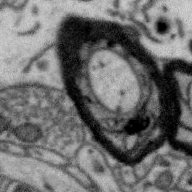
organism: Zebra finch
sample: Brain